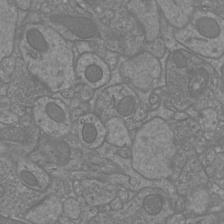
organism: Mouse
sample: Cortical neurons